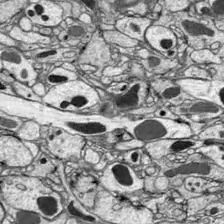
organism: Drosophila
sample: Optic lobe